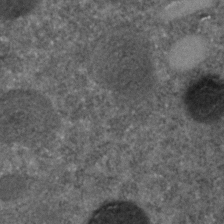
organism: C. elegans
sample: C. elegans embryo